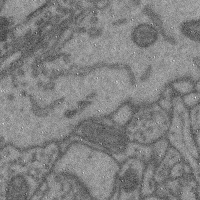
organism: Mouse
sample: Cerebral cortex